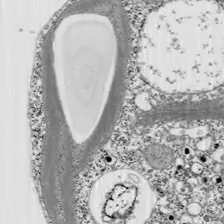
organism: Chlamydomonas reinhardtii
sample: Whole Cell